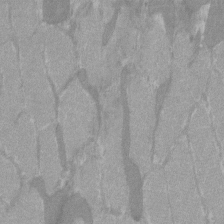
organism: C57BL Mouse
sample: Tibialis anterior muscle cell